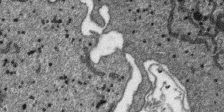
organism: Human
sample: Lung epithelial cells infected with SARS-CoV-2